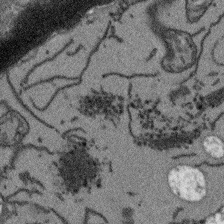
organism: Arabidopsis thaliana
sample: Root tip